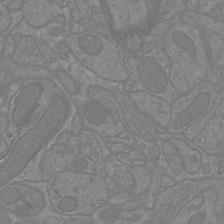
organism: Mouse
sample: Cortical neurons